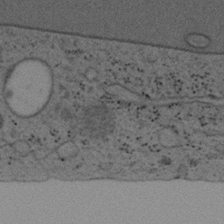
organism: Human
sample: HeLa cells